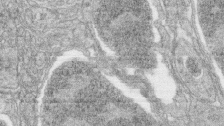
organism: Zebrafish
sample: synaptic ribbons in rod cells and cone cells